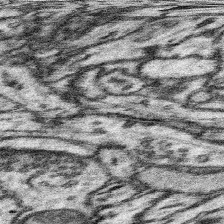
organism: Mouse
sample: Somatosensory cortex neuropil